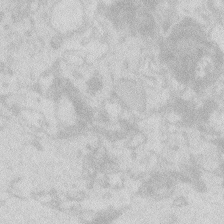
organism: Zebrafish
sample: Macrophage